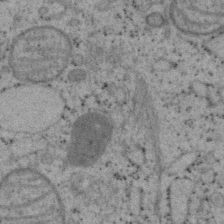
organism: Human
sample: HeLa cells